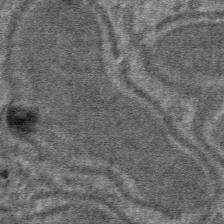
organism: Mouse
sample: Mouse hepatocytes